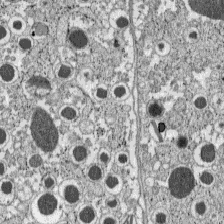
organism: C57BL Mouse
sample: Pancreatic islet